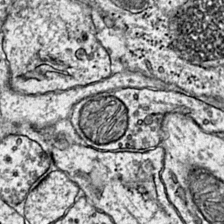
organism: Mouse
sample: Primary visual cortex